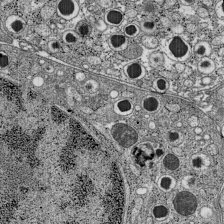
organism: C57BL Mouse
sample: Pancreatic islet